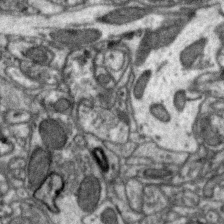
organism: Zebra finch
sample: Brain